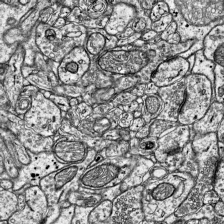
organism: Mouse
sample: Visual Cortex